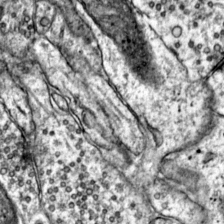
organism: Mouse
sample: Primary visual cortex